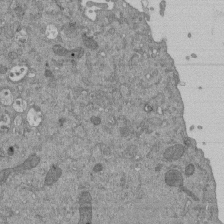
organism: Mouse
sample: ED-1 cell nuclei; centrioles